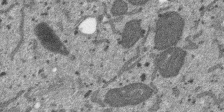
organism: Human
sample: Lung epithelial cells infected with SARS-CoV-2